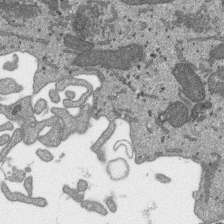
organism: Human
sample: Lung epithelial cells infected with SARS-CoV-2